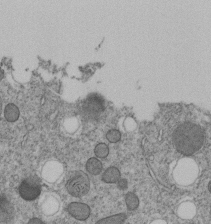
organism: C. elegans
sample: C. elegans embryo early stage